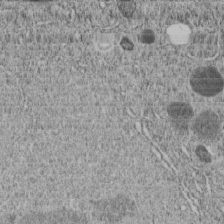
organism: C. elegans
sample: C. elegans embryo early stage